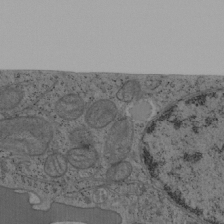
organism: Human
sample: HeLa cells